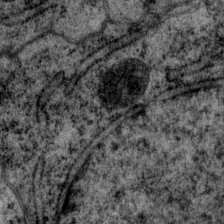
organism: P. pacificus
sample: Pharynx